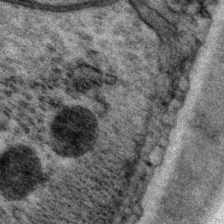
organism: P. pacificus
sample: Pharynx